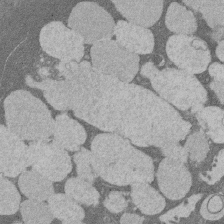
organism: Rat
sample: Salivary granule